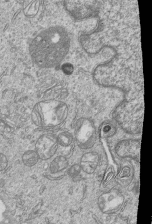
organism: Human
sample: MDA-MB-231 cells